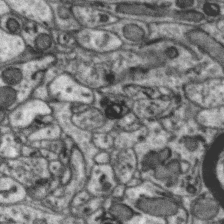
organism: Zebra finch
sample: Brain